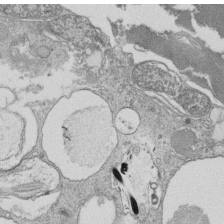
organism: Tetrahymena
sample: Cilia in tetrahymena